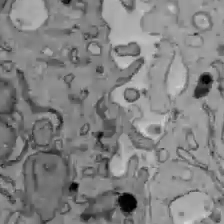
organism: C57BL Mouse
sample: Liver